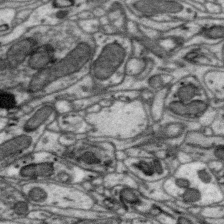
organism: Zebra finch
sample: Brain